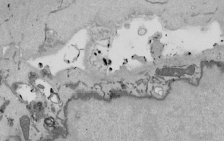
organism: Mouse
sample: ED-1 cell nuclei; centrioles